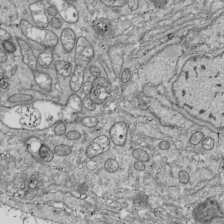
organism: Drosophila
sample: Cell division; meiosis; drosophila spermatocytes